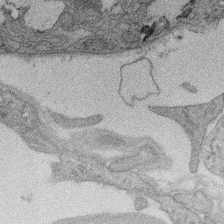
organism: Rat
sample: Salivary granule